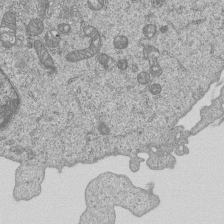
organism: Human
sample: MDA-MB-231 cells